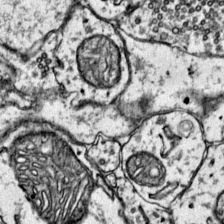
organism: Mouse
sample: Primary visual cortex